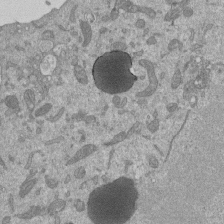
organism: Mouse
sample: ED-1 cell nuclei; centrioles